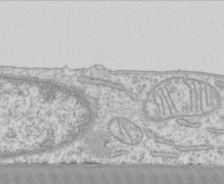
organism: Human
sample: CRL-1474